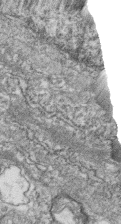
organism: Zebrafish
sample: Cilia; retinal pigment epithelium